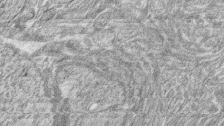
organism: Zebrafish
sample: synaptic ribbons in rod cells and cone cells